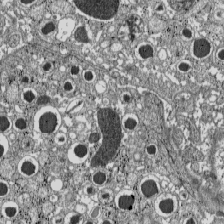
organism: C57BL Mouse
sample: Pancreatic islet